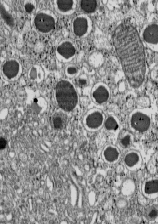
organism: C57BL Mouse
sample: Pancreatic islet